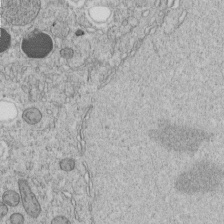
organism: C. elegans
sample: C. elegans embryo early stage